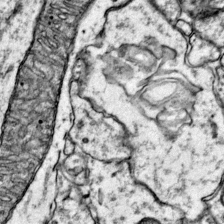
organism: Mouse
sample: Primary visual cortex